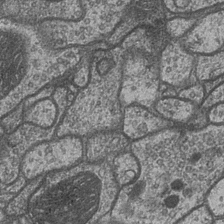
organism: Drosophila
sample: Optic medulla